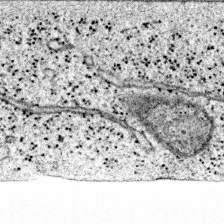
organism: Human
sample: HeLa cells